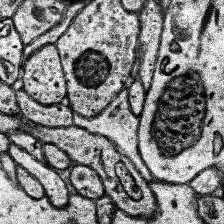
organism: Human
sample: Temporal Lobe